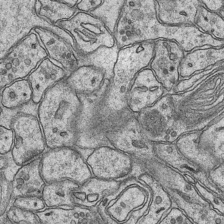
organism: Mouse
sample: CA1 Hippocampus